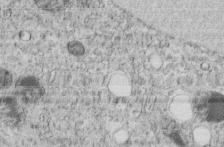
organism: C. elegans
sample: C. elegans embryo early stage